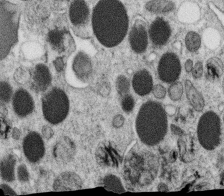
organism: C. elegans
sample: C. elegans oocyte; sperm cells